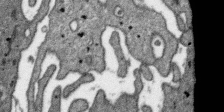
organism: Human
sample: Lung epithelial cells, uninfected (mock) control